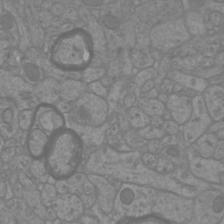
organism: Mouse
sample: Cortical neurons